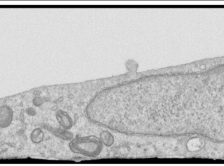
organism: Human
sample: Centriole in RPE cells